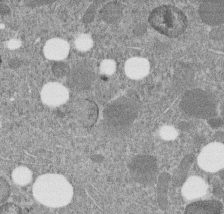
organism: C. elegans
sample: C. elegans embryo early stage